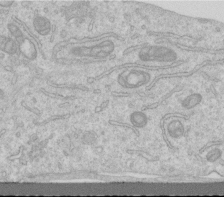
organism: Human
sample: Centriole in RPE cells